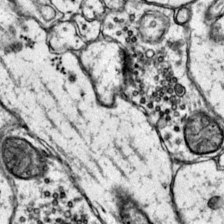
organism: Mouse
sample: Primary visual cortex